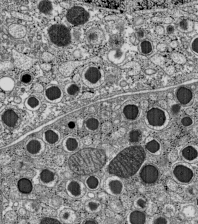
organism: C57BL Mouse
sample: Pancreatic islet